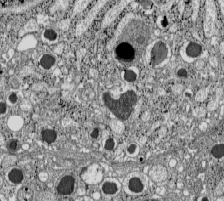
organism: C57BL Mouse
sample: Pancreatic islet